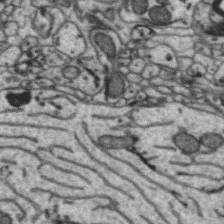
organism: Zebra finch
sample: Brain